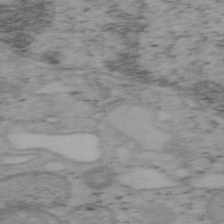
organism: Mouse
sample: OT-I killer T cells with ID8 ovarian cancer cells